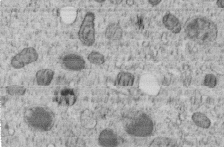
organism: C. elegans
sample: C. elegans embryo early stage